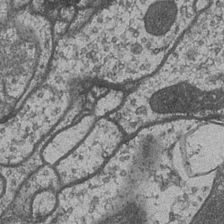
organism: Drosophila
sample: Optic medulla